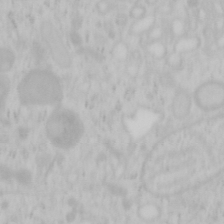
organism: Mouse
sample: OT-I killer T cells with ID8 ovarian cancer cells